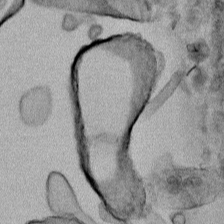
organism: Human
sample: Mitochondria in HCT116 cells